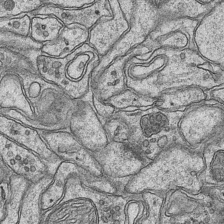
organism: Mouse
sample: CA1 Hippocampus